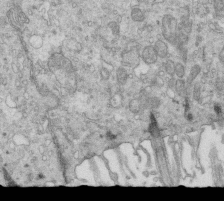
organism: Mouse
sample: Multiciliated cells